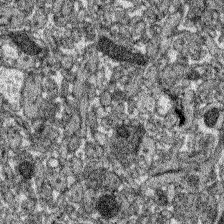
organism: Zebrafish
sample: Larval olfactory bulb